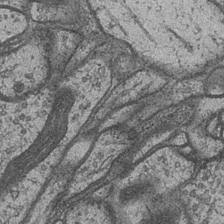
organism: Drosophila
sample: Optic medulla